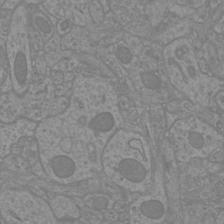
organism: Mouse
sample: Cortical neurons